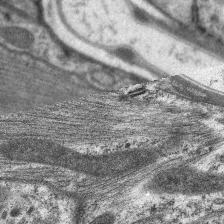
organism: C. elegans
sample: Pharynx